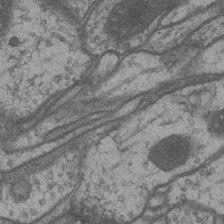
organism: Drosophila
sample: Optic medulla